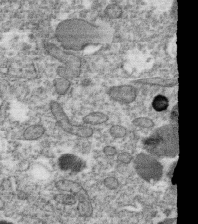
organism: C. elegans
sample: C. elegans oocyte; sperm cells